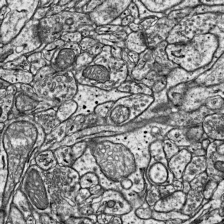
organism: Mouse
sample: Visual Cortex